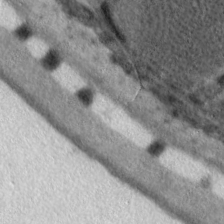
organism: C. elegans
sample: Pharynx